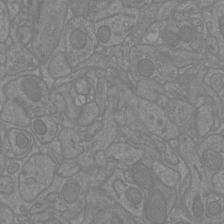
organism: Mouse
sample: Cortical neurons